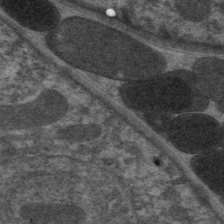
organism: C. elegans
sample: Pharynx